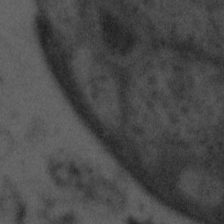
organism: Tuwongella immobilis